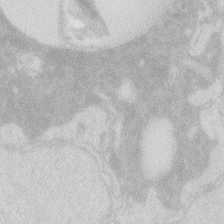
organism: Zebrafish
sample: Macrophage